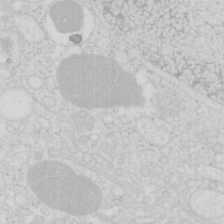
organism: Mouse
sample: Pancreas